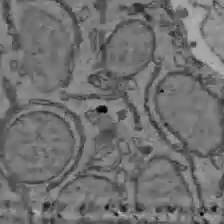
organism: C57BL Mouse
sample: Liver